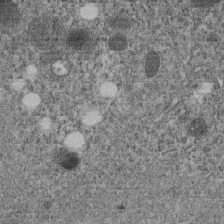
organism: C. elegans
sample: C. elegans embryo early stage